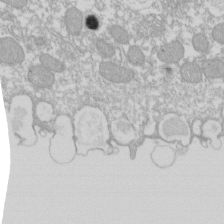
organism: Xenopus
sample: Cilia; centrioles in frog embryo cells